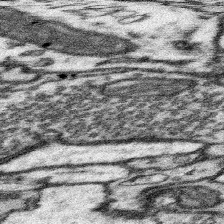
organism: Mouse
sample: Somatosensory cortex neuropil